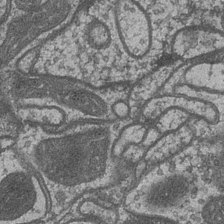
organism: Drosophila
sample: Optic medulla